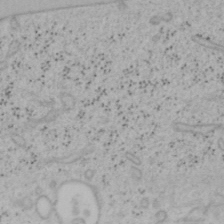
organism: Human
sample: HeLa cells